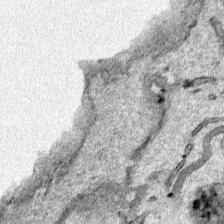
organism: Human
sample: Mitochondria in HCT116 cells